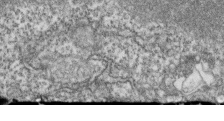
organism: Zebrafish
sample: Cilia; retinal pigment epithelium